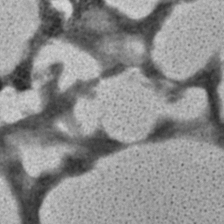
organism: C. elegans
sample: C. elegans embryo